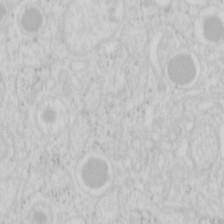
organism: Mouse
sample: Pancreas